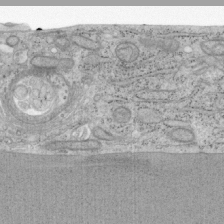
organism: Human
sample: HeLa cells